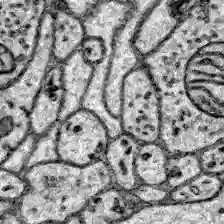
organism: Zebrafish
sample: Brain